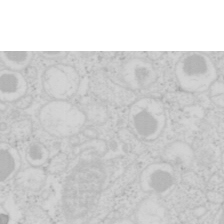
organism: Mouse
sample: Pancreas